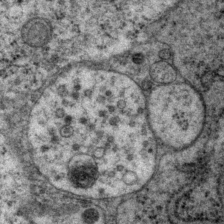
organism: P. pacificus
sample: Pharynx